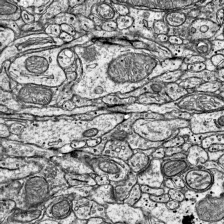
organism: Mouse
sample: Visual Cortex